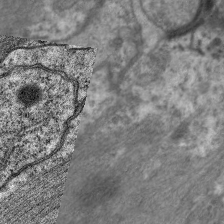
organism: C. elegans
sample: Pharynx